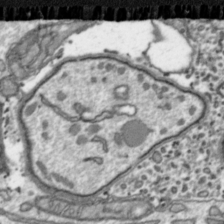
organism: Toxoplasma gondii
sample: Parasites in a vacuole inside a host cell